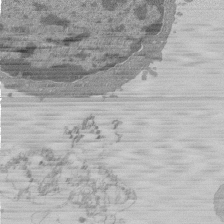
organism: Mouse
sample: Activated Pmel transgenic CD8+ T Cells